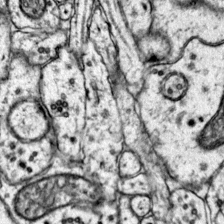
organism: Mouse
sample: Primary visual cortex